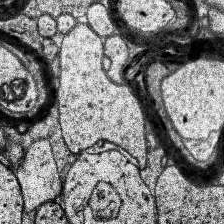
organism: Human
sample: Temporal Lobe